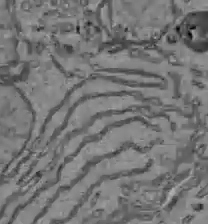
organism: C57BL Mouse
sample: Liver